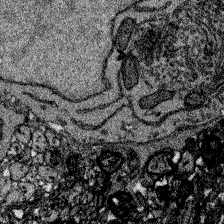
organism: Zebrafish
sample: Larval olfactory bulb